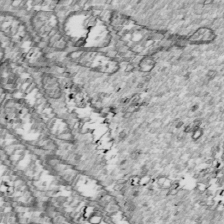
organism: Drosophila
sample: Cell division; meiosis; drosophila spermatocytes